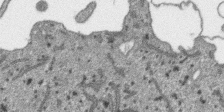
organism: Human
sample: Lung epithelial cells infected with SARS-CoV-2